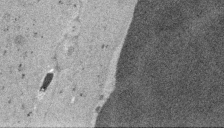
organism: Embia sp.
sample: Silk gland